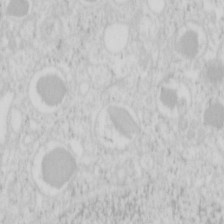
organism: Mouse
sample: Pancreas